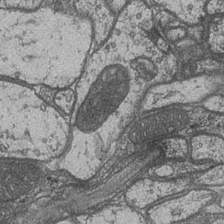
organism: Drosophila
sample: Optic medulla